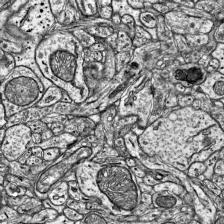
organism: Mouse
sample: Visual Cortex